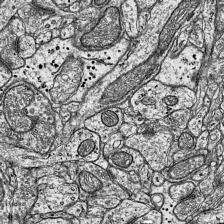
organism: Mouse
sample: Visual Cortex